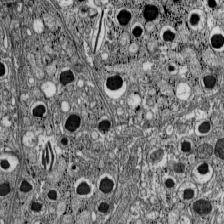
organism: C57BL Mouse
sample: Pancreatic islet